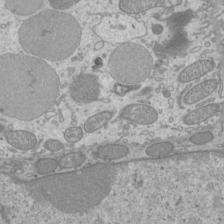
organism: Mouse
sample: Cilia; mouse epididymis